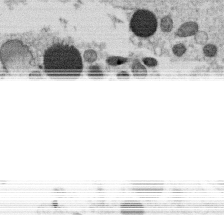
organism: C. elegans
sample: C. elegans oocyte; sperm cells